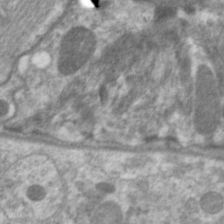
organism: C. elegans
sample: Pharynx